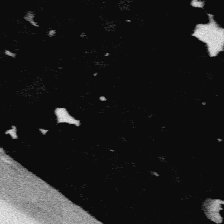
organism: Platynereis dumerilii